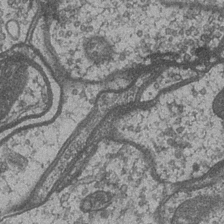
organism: Drosophila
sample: Optic medulla